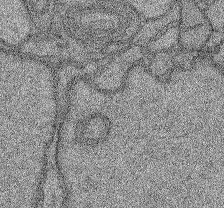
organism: Human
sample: HeLa cells